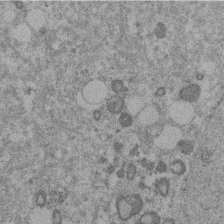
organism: Mouse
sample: Dividing mouse embryo 1 cell stage